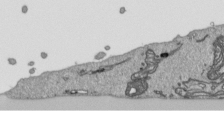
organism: Human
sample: Mitochondria in HCT116 cells